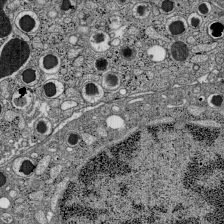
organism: C57BL Mouse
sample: Pancreatic islet